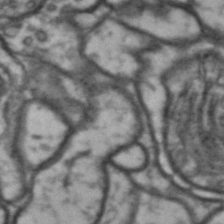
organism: Drosophila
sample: Brain